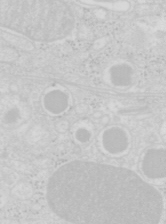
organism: Mouse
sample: Pancreas